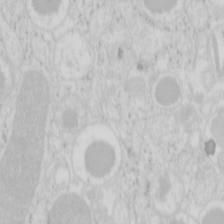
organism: Mouse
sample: Pancreas